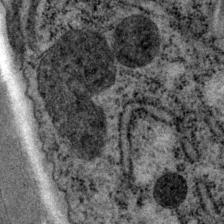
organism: P. pacificus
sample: Pharynx